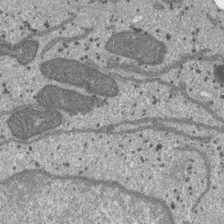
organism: Human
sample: Lung epithelial cells infected with SARS-CoV-2